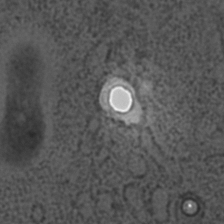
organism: C. elegans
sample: C. elegans embryo